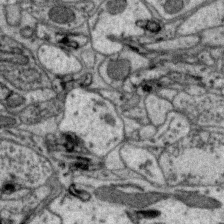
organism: Zebra finch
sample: Brain